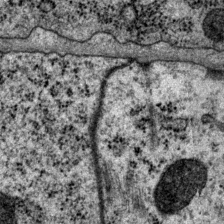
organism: P. pacificus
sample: Pharynx